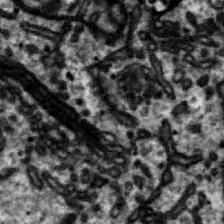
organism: Human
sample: HeLa cells